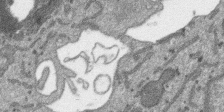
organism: Human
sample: Lung epithelial cells infected with SARS-CoV-2